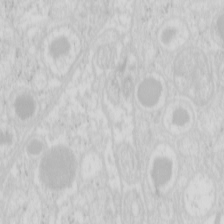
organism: Mouse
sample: Pancreas